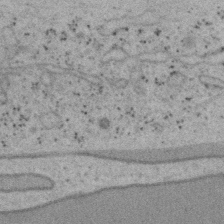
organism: Human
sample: HeLa cells